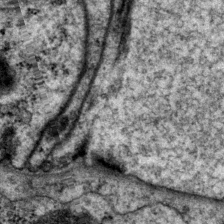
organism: P. pacificus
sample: Pharynx